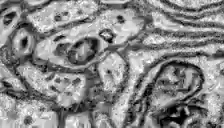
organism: Zebrafish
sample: Brain